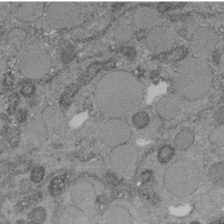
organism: C. elegans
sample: C. elegans embryo early stage